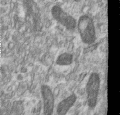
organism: Human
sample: Centriole in RPE cells